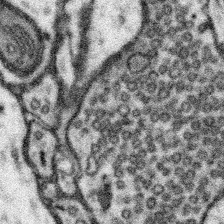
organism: Mouse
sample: Somatosensory cortex neuropil